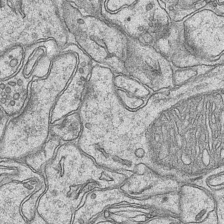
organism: Mouse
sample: CA1 Hippocampus